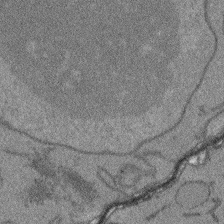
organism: Arabidopsis thaliana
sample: Root tip